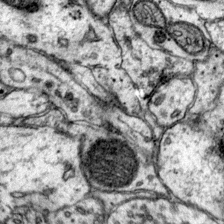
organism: Mouse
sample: Primary visual cortex